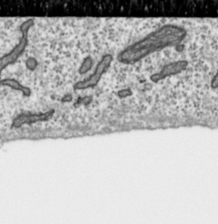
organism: Toxoplasma gondii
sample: Parasites in a vacuole inside a host cell